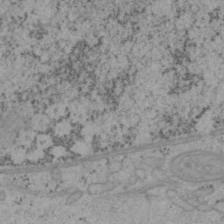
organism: Human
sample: HeLa cells